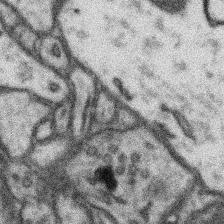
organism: Mouse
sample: Somatosensory cortex neuropil